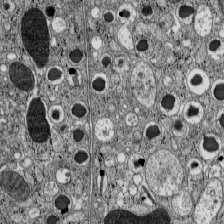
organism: C57BL Mouse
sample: Pancreatic islet